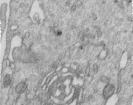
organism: Human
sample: Centriole in RPE cells